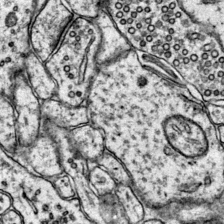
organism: Mouse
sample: Primary visual cortex